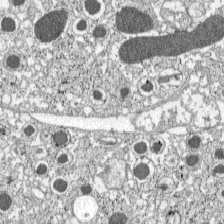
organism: C57BL Mouse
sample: Pancreatic islet